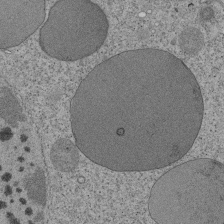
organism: Tetrahymena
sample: Cilia in tetrahymena